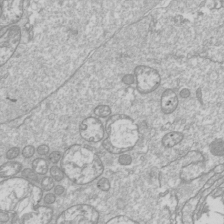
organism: Drosophila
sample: Cell division; meiosis; drosophila spermatocytes